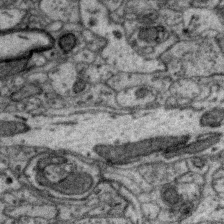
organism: Zebra finch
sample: Brain